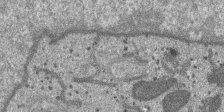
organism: Human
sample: Lung epithelial cells infected with SARS-CoV-2